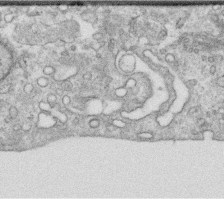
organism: Human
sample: Centriole in RPE cells